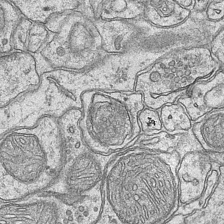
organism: Mouse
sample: CA1 Hippocampus